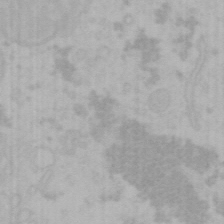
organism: Mouse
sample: Choroid plexus